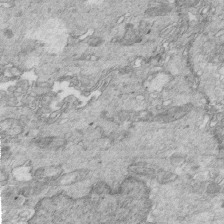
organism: Mouse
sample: Multiciliated cells